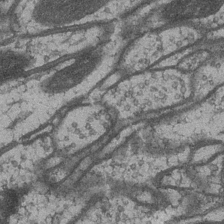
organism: Drosophila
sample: Optic medulla